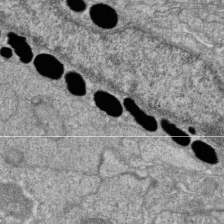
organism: Zebrafish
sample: Cilia; retinal pigment epithelium